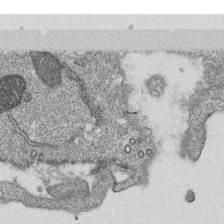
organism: African green monkey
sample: Vero E6 cells infected with SARS-CoV-2